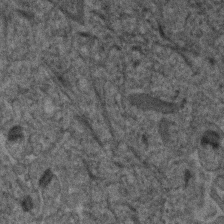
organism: Human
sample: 1205lu cells